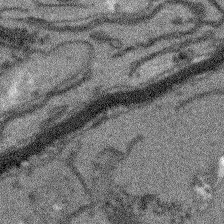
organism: Arabidopsis thaliana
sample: Root tip